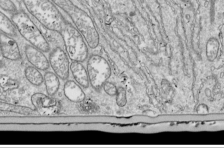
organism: Drosophila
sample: Cell division; meiosis; drosophila spermatocytes